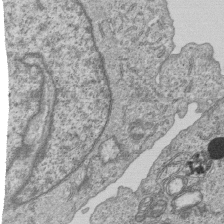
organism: Human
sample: MDA-MB-231 cells